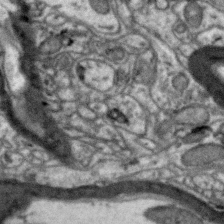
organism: Zebra finch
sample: Brain